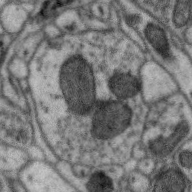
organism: Zebra finch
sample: Brain